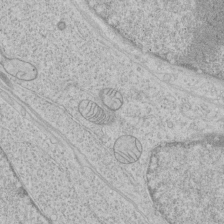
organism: Human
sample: Mitochondria in HCT116 cells